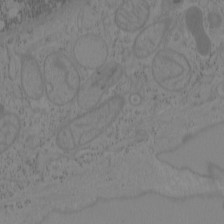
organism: Human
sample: HeLa cells